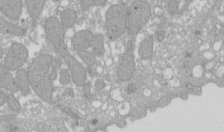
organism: Xenopus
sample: Cilia; centrioles in frog embryo cells